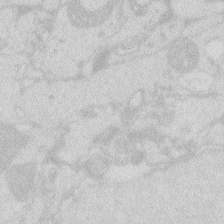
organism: Zebrafish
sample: Macrophage